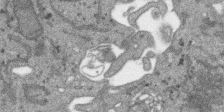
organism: Human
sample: Lung epithelial cells infected with SARS-CoV-2